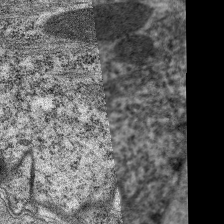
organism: C. elegans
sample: Pharynx